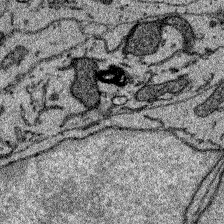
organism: Zebrafish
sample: Larval olfactory bulb